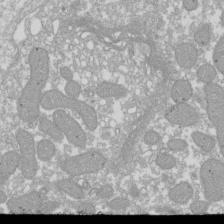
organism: Xenopus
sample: Cilia; centrioles in frog embryo cells